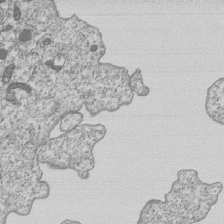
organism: Human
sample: MDA-MB-231 cells